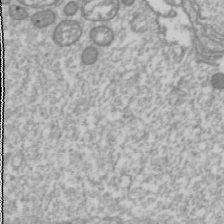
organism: Drosophila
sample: Cell division; meiosis; drosophila spermatocytes